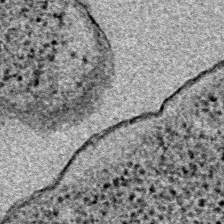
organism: E. coli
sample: E. Coli Bacteria